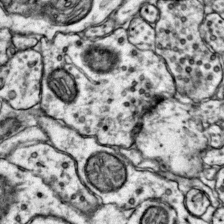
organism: Mouse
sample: Primary visual cortex